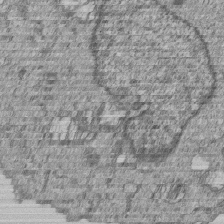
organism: Human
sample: MDA-MB-231 cells